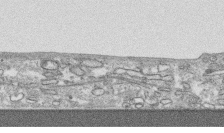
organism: Human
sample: CRL-1474